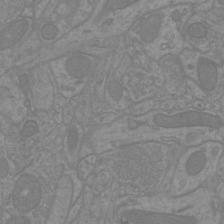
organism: Mouse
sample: Cortical neurons